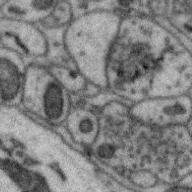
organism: Zebra finch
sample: Brain